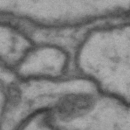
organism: Drosophila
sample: Brain